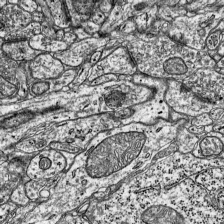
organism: Mouse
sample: Visual Cortex